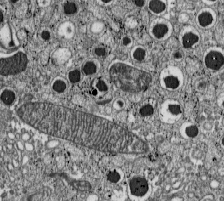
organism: C57BL Mouse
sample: Pancreatic islet